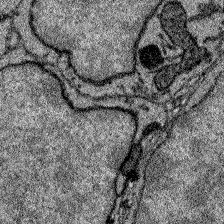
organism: Zebrafish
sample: Larval olfactory bulb